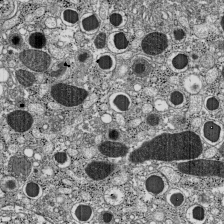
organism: C57BL Mouse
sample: Pancreatic islet